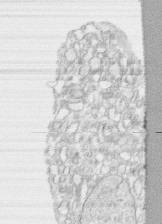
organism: Human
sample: CRL-1474